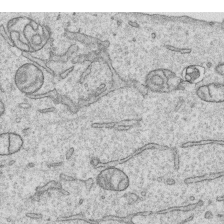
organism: Human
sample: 1205lu cells